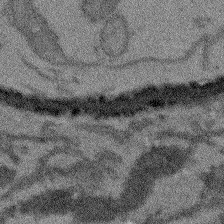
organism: Arabidopsis thaliana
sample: Root tip